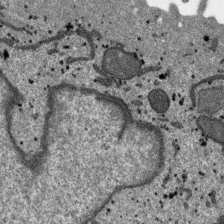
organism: Human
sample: Lung epithelial cells, uninfected (mock) control